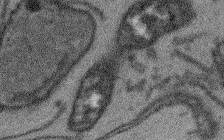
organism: Arabidopsis thaliana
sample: Root tip